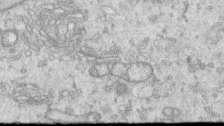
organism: Human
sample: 1205lu cells